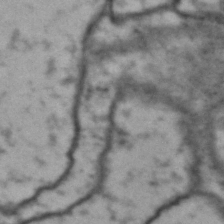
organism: Drosophila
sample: Brain